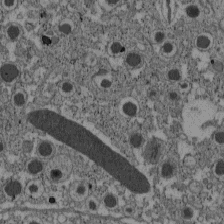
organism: C57BL Mouse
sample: Pancreatic islet